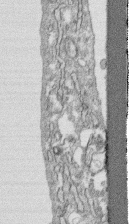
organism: Human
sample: CRL-1474